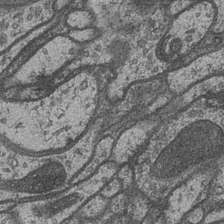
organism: Drosophila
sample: Optic medulla